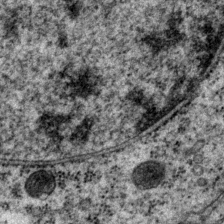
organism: P. pacificus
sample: Pharynx